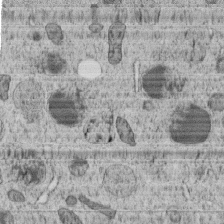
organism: C. elegans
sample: C. elegans embryo early stage